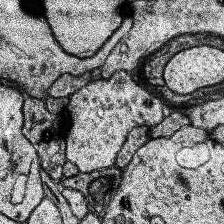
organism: Human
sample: Temporal Lobe